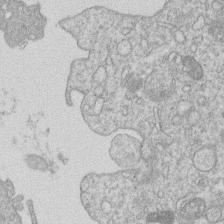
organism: Human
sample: Macrophage cells